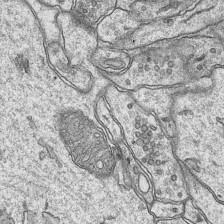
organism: Mouse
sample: CA1 Hippocampus